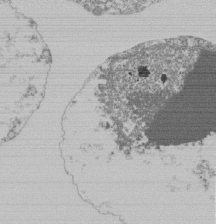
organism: Mouse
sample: Activated Pmel transgenic CD8+ T Cells